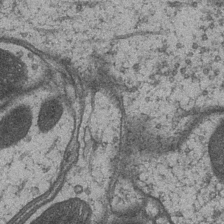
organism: Drosophila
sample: Optic medulla